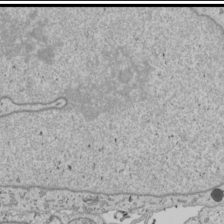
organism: Human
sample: Mitochondria in U2OS cells